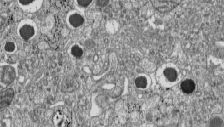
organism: C57BL Mouse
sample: Pancreatic islet